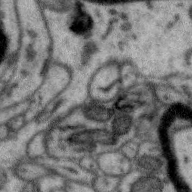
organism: Zebra finch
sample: Brain